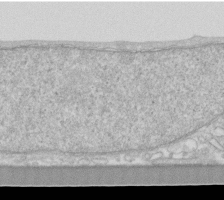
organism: Human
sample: Fibroblast cells